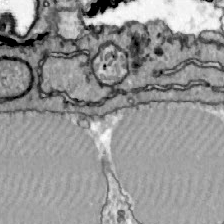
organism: Zebrafish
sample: Actinotrichia fibers